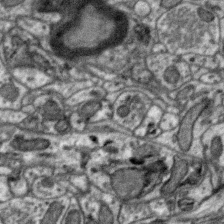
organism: Zebra finch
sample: Brain